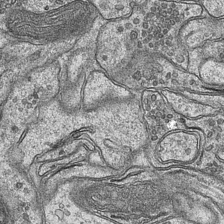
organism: Mouse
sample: CA1 Hippocampus